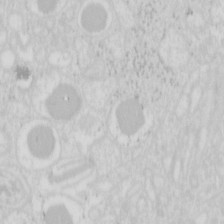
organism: Mouse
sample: Pancreas